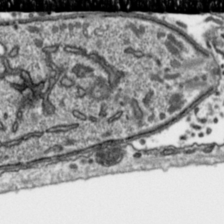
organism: Toxoplasma gondii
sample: Parasites in a vacuole inside a host cell